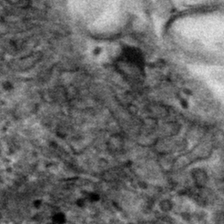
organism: Mouse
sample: Mouse hepatocytes